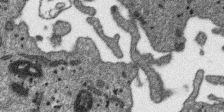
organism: Human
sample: Lung epithelial cells infected with SARS-CoV-2